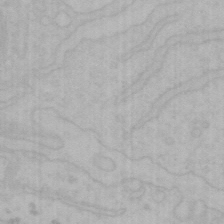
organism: Mouse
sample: Choroid plexus